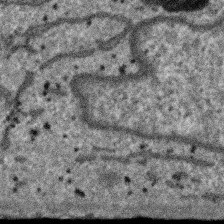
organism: Human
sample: Lung epithelial cells infected with SARS-CoV-2